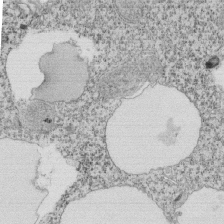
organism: Tetrahymena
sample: Cilia in tetrahymena